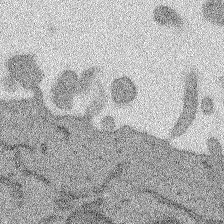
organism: Human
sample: HeLa cells